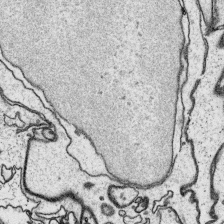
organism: Platynereis dumerilii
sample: Parapodia